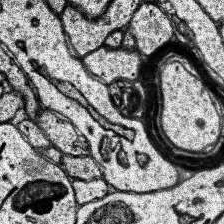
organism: Human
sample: Temporal Lobe